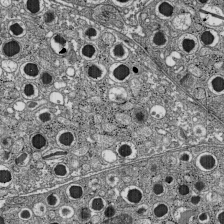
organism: C57BL Mouse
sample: Pancreatic islet